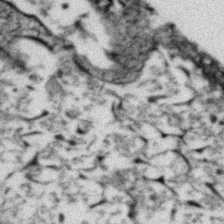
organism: Zebrafish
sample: Zebrafish embryo